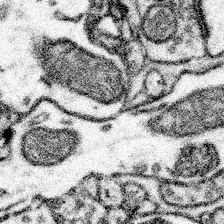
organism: Mouse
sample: Somatosensory cortex neuropil